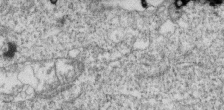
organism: Human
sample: HeLa cell HIV synapse